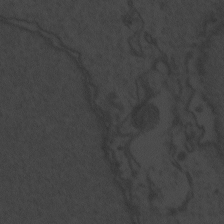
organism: Zebrafish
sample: Macrophage infected with Toxoplasma gondii